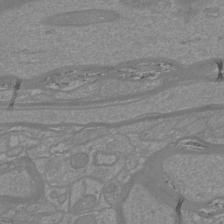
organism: Mouse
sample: Cortical neurons